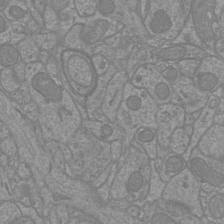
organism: Mouse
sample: Cortical neurons